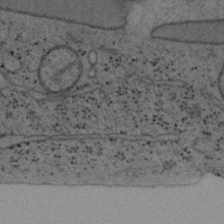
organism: Human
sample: HeLa cells